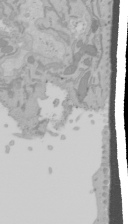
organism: Mouse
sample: Cancer cell death in ED-1 cells